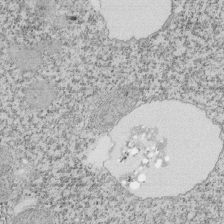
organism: Tetrahymena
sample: Cilia in tetrahymena